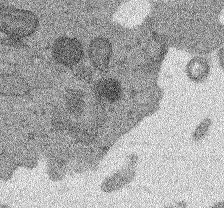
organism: Human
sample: HeLa cells